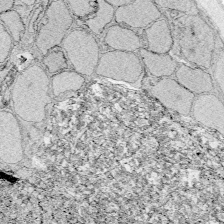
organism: Zebrafish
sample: Whole-Brain